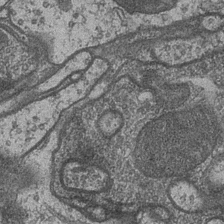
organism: Drosophila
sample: Optic medulla